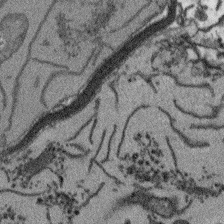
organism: Arabidopsis thaliana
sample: Root tip